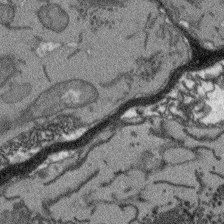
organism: Arabidopsis thaliana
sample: Root tip